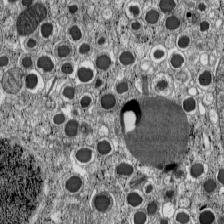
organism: C57BL Mouse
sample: Pancreatic islet